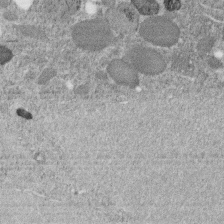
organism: C. elegans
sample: C. elegans embryo early stage